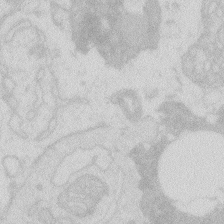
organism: Zebrafish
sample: Macrophage